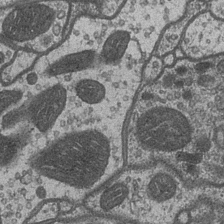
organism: Drosophila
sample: Optic medulla